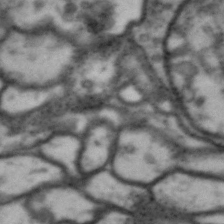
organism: Drosophila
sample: Brain